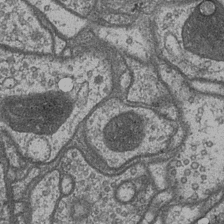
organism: Drosophila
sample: Optic medulla